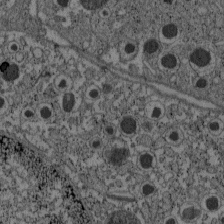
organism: C57BL Mouse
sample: Pancreatic islet